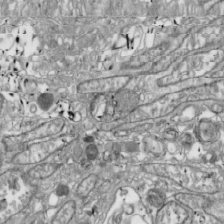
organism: Drosophila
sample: Cell division; meiosis; drosophila spermatocytes